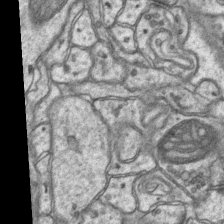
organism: Mouse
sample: CA1 Hippocampus